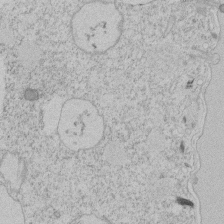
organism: Tetrahymena